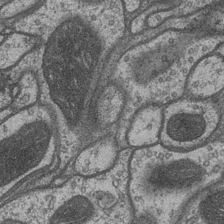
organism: Drosophila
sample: Optic medulla